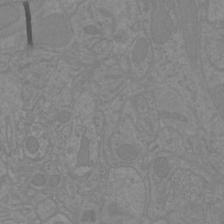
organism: Mouse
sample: Cortical neurons